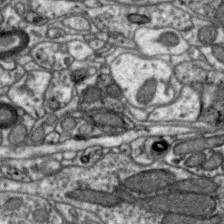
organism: Zebra finch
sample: Brain